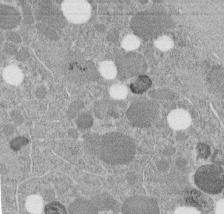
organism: C. elegans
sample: C. elegans embryo early stage